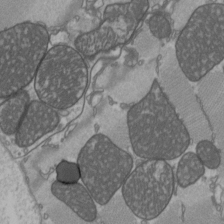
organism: C57BL Mouse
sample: Heart